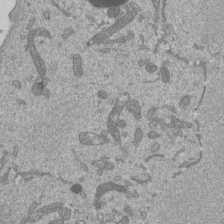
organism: Mouse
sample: ED-1 cell nuclei; centrioles